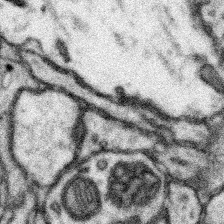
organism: Mouse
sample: Somatosensory cortex neuropil